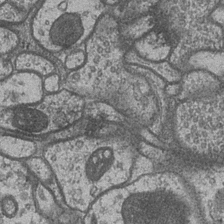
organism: Drosophila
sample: Optic medulla